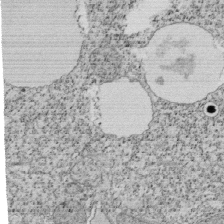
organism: Tetrahymena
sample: Cilia in tetrahymena